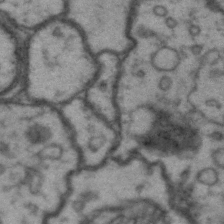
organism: Drosophila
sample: Brain